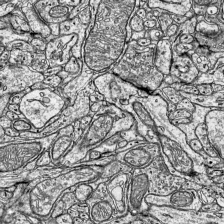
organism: Mouse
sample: Visual Cortex